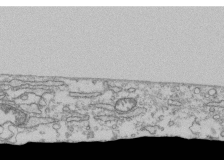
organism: Human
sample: Fibroblast cells